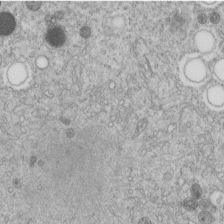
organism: C. elegans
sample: C. elegans embryo early stage